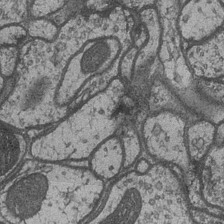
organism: Drosophila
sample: Optic medulla